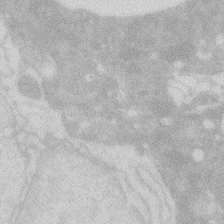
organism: Zebrafish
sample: Macrophage